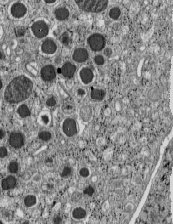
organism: C57BL Mouse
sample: Pancreatic islet